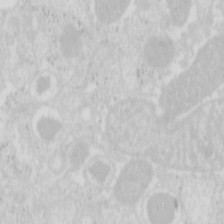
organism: Mouse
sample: Pancreas